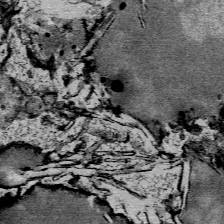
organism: Mouse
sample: Mouse Salivary gland